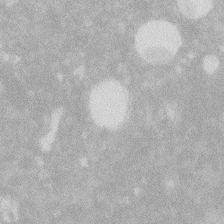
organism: Zebrafish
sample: Macrophage